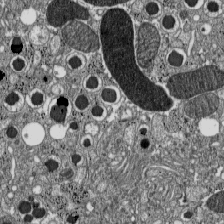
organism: C57BL Mouse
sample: Pancreatic islet